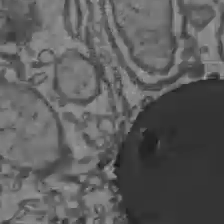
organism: C57BL Mouse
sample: Liver